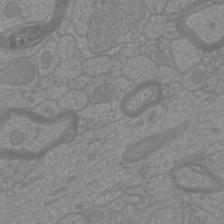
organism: Mouse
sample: Cortical neurons